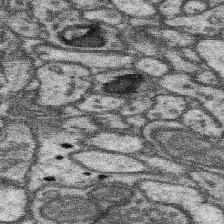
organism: Mouse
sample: Somatosensory cortex neuropil